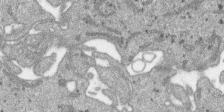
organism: Human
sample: Lung epithelial cells infected with SARS-CoV-2